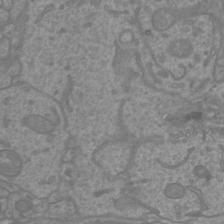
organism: Mouse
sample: Cortical neurons